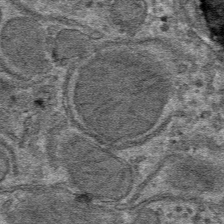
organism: Mouse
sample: Mouse hepatocytes